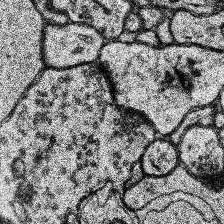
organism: Human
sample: Temporal Lobe